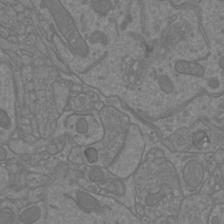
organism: Mouse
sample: Cortical neurons